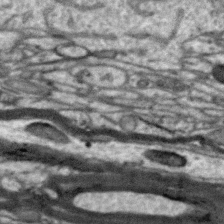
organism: Zebra finch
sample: Brain